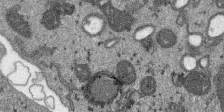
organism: Human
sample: Lung epithelial cells infected with SARS-CoV-2